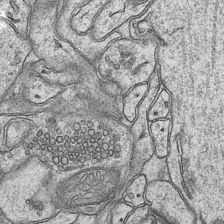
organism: Mouse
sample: CA1 Hippocampus